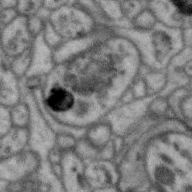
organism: Zebra finch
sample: Brain